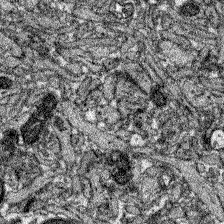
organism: Zebrafish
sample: Larval olfactory bulb